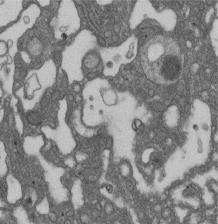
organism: Drosophila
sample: Nephrocyte